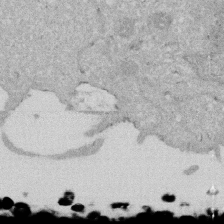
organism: Human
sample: HIV infected U937 cells